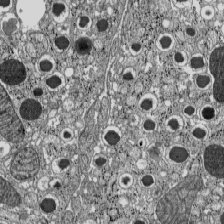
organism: C57BL Mouse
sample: Pancreatic islet